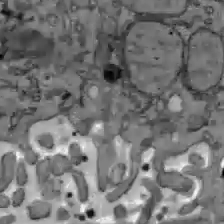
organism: C57BL Mouse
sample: Liver